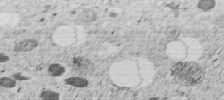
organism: C. elegans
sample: C. elegans embryo early stage